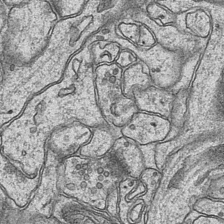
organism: Mouse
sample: CA1 Hippocampus